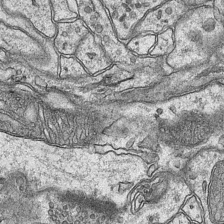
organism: Mouse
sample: CA1 Hippocampus